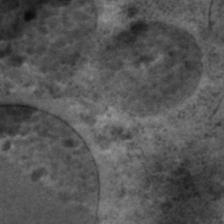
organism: C. elegans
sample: C. elegans embryo